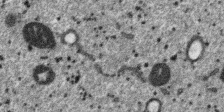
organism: Human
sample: Lung epithelial cells infected with SARS-CoV-2